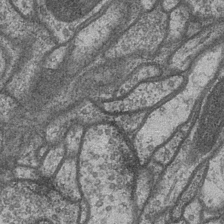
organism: Drosophila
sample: Optic medulla